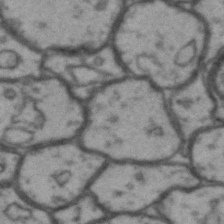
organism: Drosophila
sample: Brain